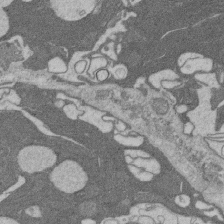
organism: Rat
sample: Salivary granule